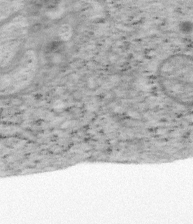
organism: Mouse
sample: OT-I killer T cells with ID8 ovarian cancer cells